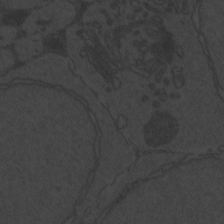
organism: Zebrafish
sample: Macrophage infected with Toxoplasma gondii